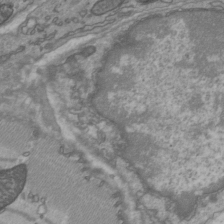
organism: C57BL Mouse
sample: Heart